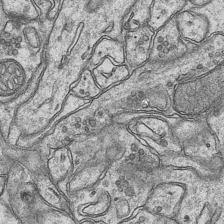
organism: Mouse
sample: CA1 Hippocampus